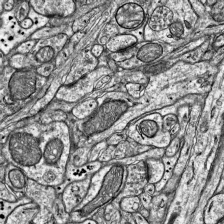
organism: Mouse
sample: Visual Cortex